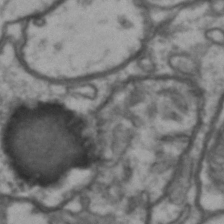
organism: Drosophila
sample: Brain